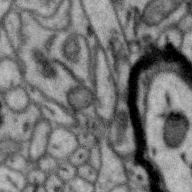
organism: Zebra finch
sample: Brain